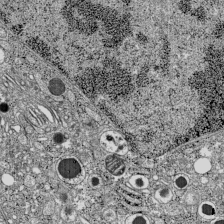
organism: C57BL Mouse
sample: Pancreatic islet